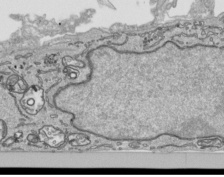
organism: Human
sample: Mitochondria in HCT116 cells